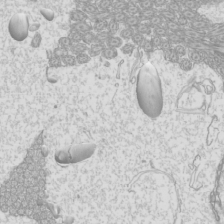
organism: Mouse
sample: Cilia; mouse epididymis